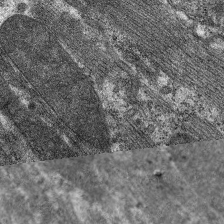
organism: C. elegans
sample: Pharynx